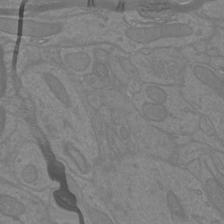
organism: Mouse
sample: Cortical neurons